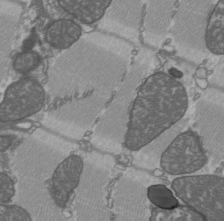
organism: C57BL Mouse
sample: Heart